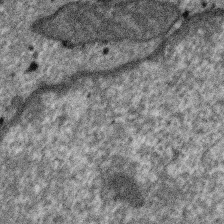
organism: Human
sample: Lung epithelial cells infected with SARS-CoV-2